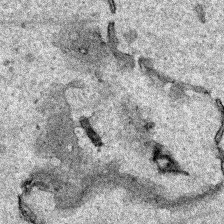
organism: Human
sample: Mitochondria in HCT116 cells